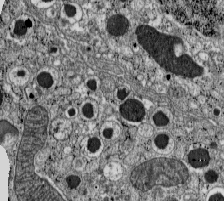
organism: C57BL Mouse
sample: Pancreatic islet